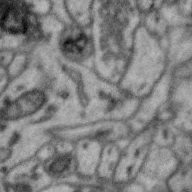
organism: Zebra finch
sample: Brain